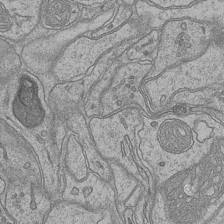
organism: Mouse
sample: CA1 Hippocampus